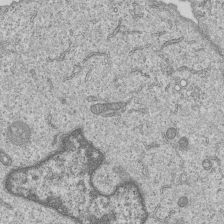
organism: Human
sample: MDA-MB-231 cells